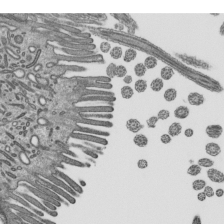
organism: Mouse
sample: Mouse epididymis efferent ductule cilia